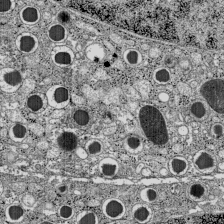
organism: C57BL Mouse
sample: Pancreatic islet